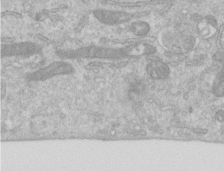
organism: Human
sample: Centriole in RPE cells